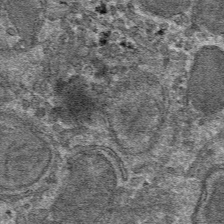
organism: Mouse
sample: Mouse hepatocytes